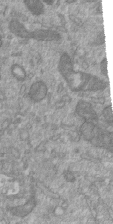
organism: Mouse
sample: ED-1 cell nuclei; centrioles